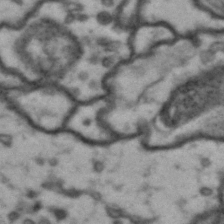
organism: Drosophila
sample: Brain